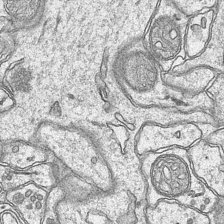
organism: Mouse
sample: CA1 Hippocampus